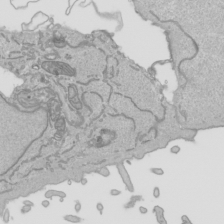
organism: Human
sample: Mitochondria in HCT116 cells